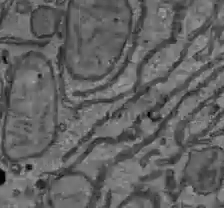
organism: C57BL Mouse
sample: Liver